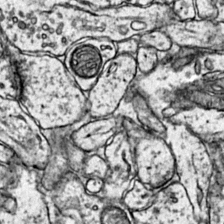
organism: Mouse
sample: Primary visual cortex